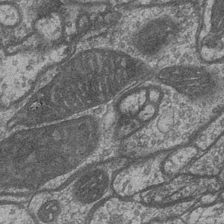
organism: Drosophila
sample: Optic medulla